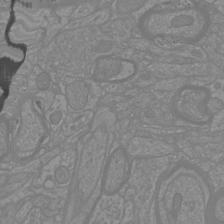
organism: Mouse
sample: Cortical neurons